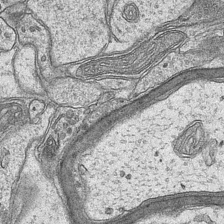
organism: Mouse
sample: CA1 Hippocampus